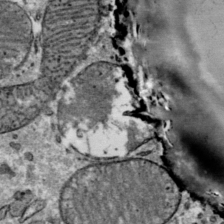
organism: Mouse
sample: Mouse Salivary gland